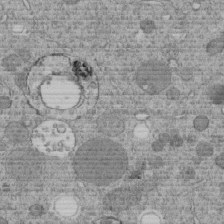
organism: C. elegans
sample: C. elegans embryo early stage